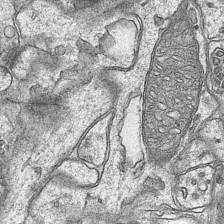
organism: Mouse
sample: CA1 Hippocampus